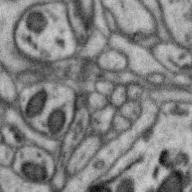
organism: Zebra finch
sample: Brain